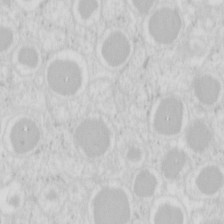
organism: Mouse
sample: Pancreas